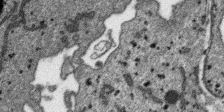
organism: Human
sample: Lung epithelial cells infected with SARS-CoV-2